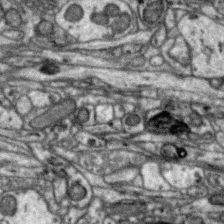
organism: Zebra finch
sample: Brain